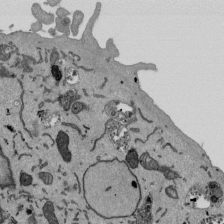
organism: Mouse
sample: ED-1 cell nuclei; centrioles